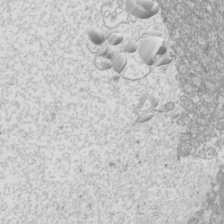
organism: Mouse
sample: Cilia; mouse epididymis